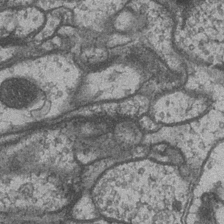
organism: Drosophila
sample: Optic medulla